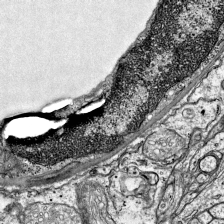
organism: Mouse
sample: Visual Cortex